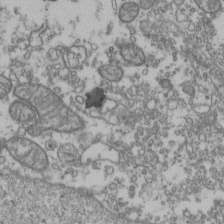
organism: Human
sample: Activated Jurkat CD4+ T cells